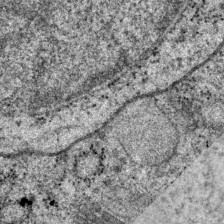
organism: P. pacificus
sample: Pharynx